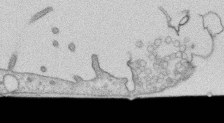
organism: Human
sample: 1205lu cells